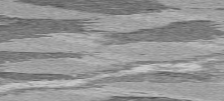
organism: C57BL Mouse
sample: Heart